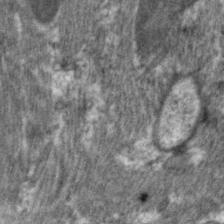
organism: C. elegans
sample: Pharynx